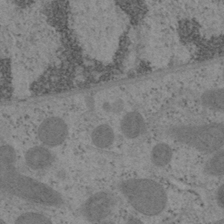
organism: Mouse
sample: OT-I killer T cells with ID8 ovarian cancer cells